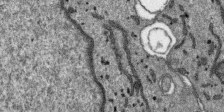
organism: Human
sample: Lung epithelial cells, uninfected (mock) control